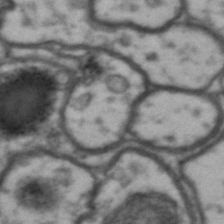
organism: Drosophila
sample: Brain